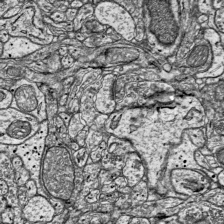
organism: Mouse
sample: Visual Cortex